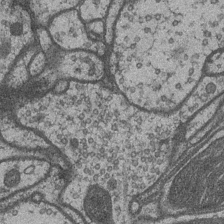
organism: Drosophila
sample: Optic medulla